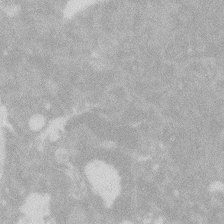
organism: Zebrafish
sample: Macrophage